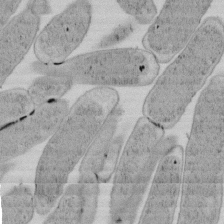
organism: E. coli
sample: Bacterial nucleoid